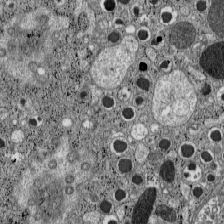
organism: C57BL Mouse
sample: Pancreatic islet